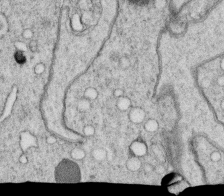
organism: C. elegans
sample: C. elegans oocyte; sperm cells